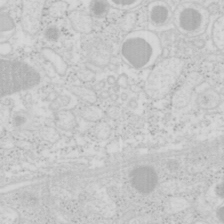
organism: Mouse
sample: Pancreas